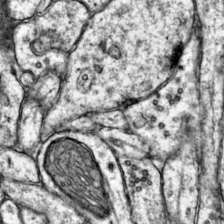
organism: Mouse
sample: Primary visual cortex